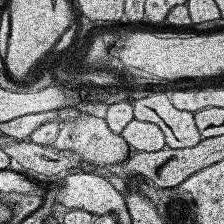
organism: Human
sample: Temporal Lobe